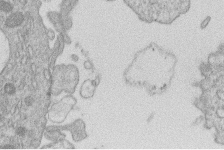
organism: Human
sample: Macrophage cells